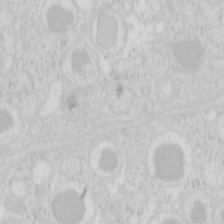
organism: Mouse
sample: Pancreas